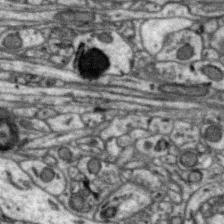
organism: Zebra finch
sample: Brain